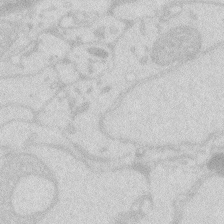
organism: Zebrafish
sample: Macrophage